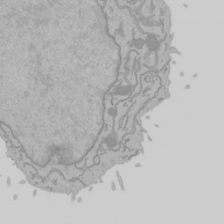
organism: Mouse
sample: Cancer cell death in ED-1 cells